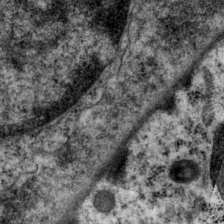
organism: P. pacificus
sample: Pharynx